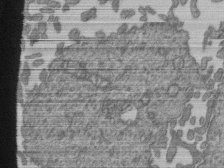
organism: Human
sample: Retinal organoid Rod and Cone cells